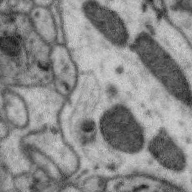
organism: Zebra finch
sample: Brain